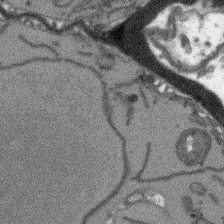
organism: Arabidopsis thaliana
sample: Root tip